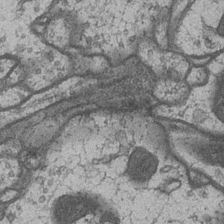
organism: Drosophila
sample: Optic medulla